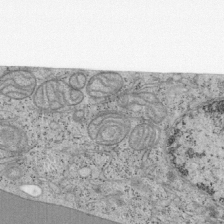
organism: Human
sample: HeLa cells